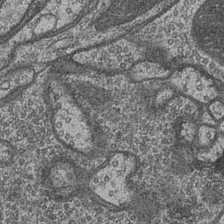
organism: Drosophila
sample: Optic medulla